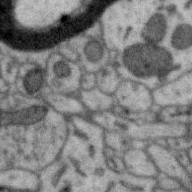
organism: Zebra finch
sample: Brain